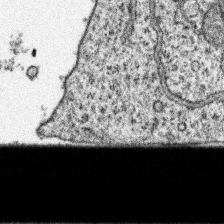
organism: Human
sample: HeLa cells